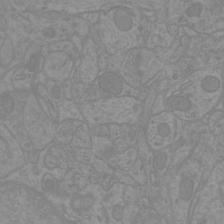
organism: Mouse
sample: Cortical neurons